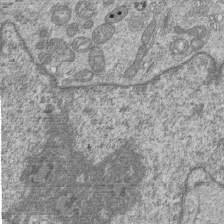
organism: Human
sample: MDA-MB-231 cells